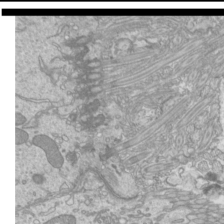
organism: Mouse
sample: Cilia; mouse epididymis